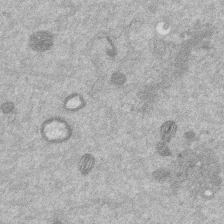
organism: Mouse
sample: Dividing mouse embryo 1 cell stage